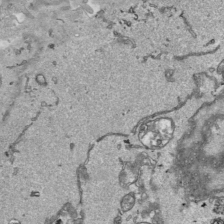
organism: Human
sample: Mitochondria in HCT116 cells